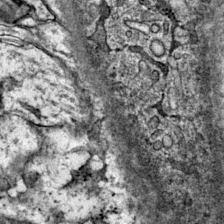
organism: Mouse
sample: Primary visual cortex